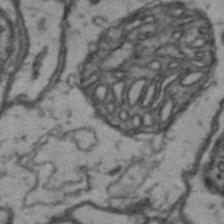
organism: Drosophila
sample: Brain